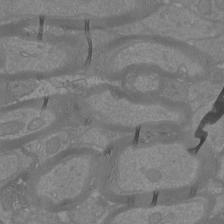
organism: Mouse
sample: Cortical neurons